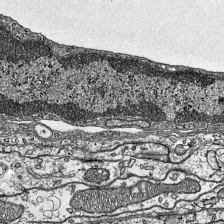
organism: Mouse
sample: Visual Cortex